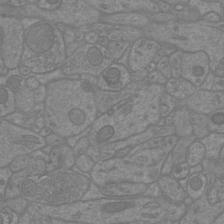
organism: Mouse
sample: Cortical neurons